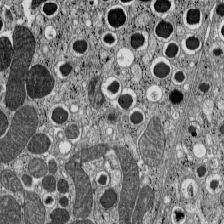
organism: C57BL Mouse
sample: Pancreatic islet